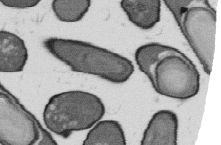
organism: B. subtilis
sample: Bacterial spore